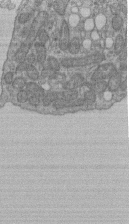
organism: Human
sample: Retinal organoid Rod and Cone cells